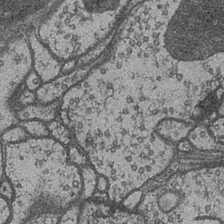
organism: Drosophila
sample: Optic medulla